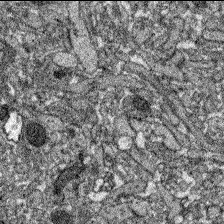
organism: Zebrafish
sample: Larval olfactory bulb